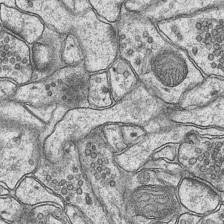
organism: Mouse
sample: CA1 Hippocampus